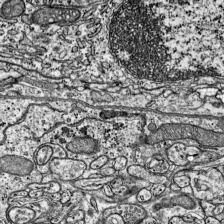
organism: Mouse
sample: Visual Cortex